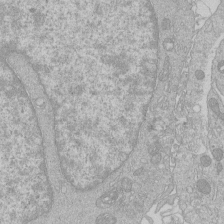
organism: Human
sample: Macrophage cells